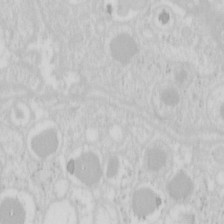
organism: Mouse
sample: Pancreas